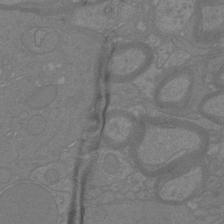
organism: Mouse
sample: Cortical neurons